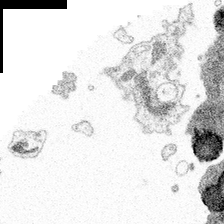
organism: Spongilla lacustris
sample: Multiple